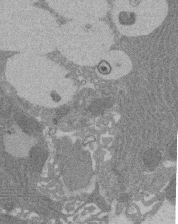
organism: Rat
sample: Salivary granule